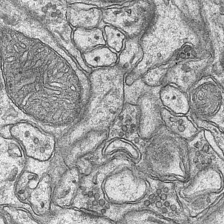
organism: Mouse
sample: CA1 Hippocampus